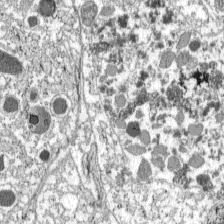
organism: C57BL Mouse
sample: Pancreatic islet